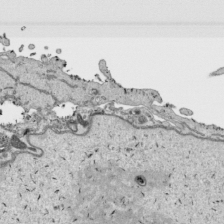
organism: Human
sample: Mitochondria in HCT116 cells